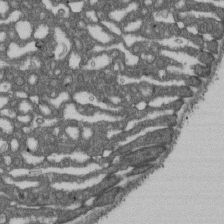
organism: Drosophila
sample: Nephrocyte